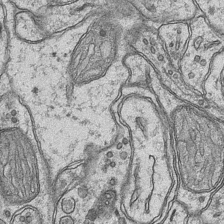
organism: Mouse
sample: CA1 Hippocampus